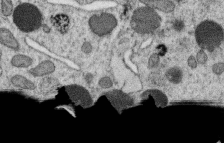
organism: C. elegans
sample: C. elegans oocyte; sperm cells